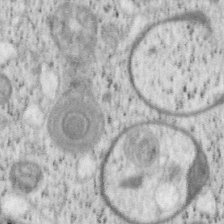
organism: Mouse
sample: OT-I killer T cells with ID8 ovarian cancer cells